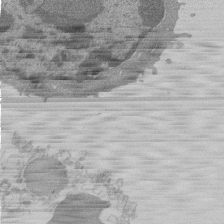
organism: Mouse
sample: Activated Pmel transgenic CD8+ T Cells